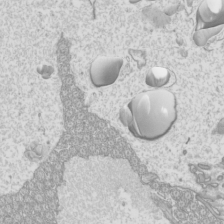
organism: Mouse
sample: Cilia; mouse epididymis